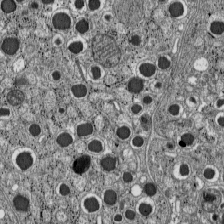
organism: C57BL Mouse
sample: Pancreatic islet